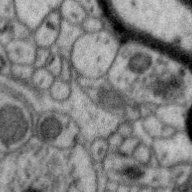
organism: Zebra finch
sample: Brain